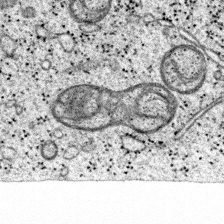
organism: Human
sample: HeLa cells